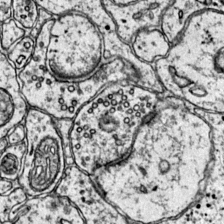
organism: Mouse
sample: Primary visual cortex